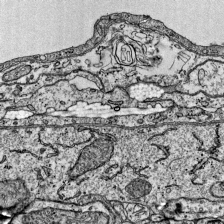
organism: Mouse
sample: Visual Cortex